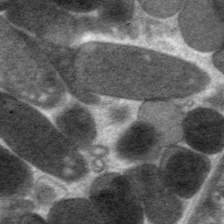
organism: C. elegans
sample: Pharynx